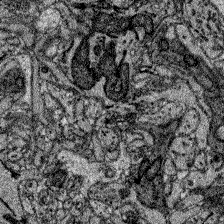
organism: Zebrafish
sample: Larval olfactory bulb